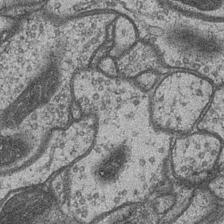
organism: Drosophila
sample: Optic medulla